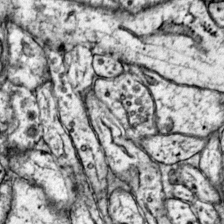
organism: Mouse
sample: Primary visual cortex